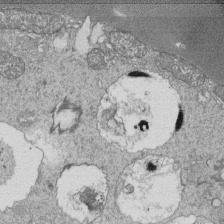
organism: Tetrahymena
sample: Cilia in tetrahymena